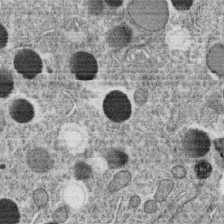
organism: C. elegans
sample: C. elegans oocyte; sperm cells